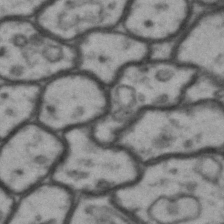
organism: Drosophila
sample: Brain